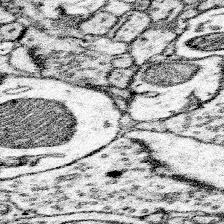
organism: Mouse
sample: Somatosensory cortex neuropil